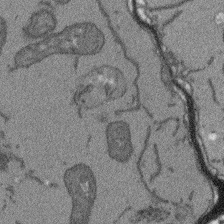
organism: Arabidopsis thaliana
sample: Root tip